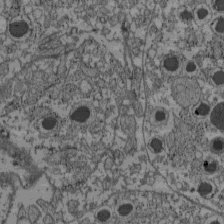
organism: C57BL Mouse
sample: Pancreatic islet